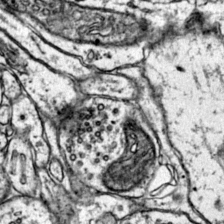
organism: Mouse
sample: Primary visual cortex